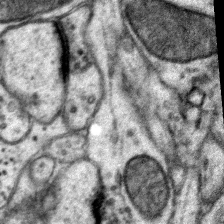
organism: Mouse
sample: Primary visual cortex